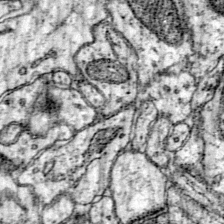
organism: Mouse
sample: Primary visual cortex